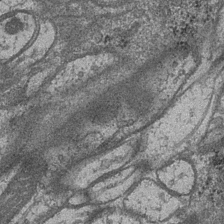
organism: Drosophila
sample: Optic medulla